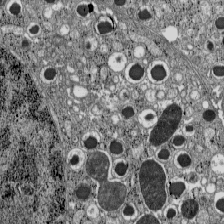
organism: C57BL Mouse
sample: Pancreatic islet